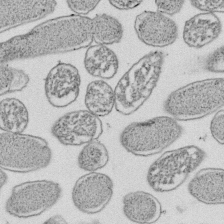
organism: E. coli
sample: Bacterial nucleoid